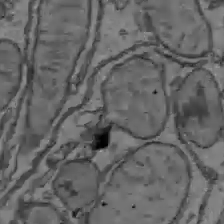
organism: C57BL Mouse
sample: Liver